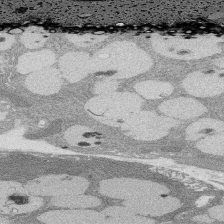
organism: Rat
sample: Salivary granule